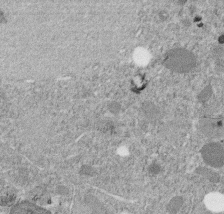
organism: C. elegans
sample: C. elegans embryo early stage